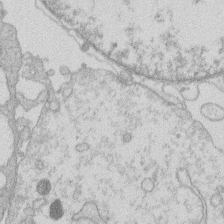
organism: Human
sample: Macrophage cells